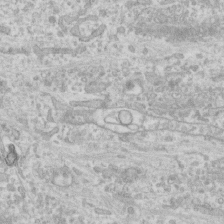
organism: Human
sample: CRL-1474